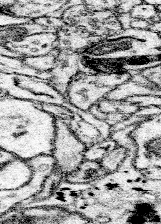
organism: Mouse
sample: Somatosensory cortex neuropil